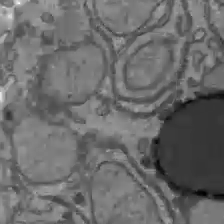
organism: C57BL Mouse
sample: Liver